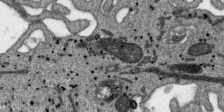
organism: Human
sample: Lung epithelial cells, uninfected (mock) control